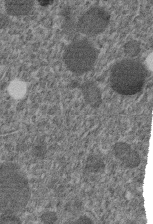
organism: C. elegans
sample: C. elegans embryo early stage